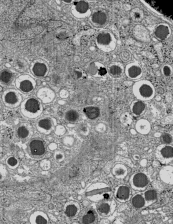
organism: C57BL Mouse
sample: Pancreatic islet